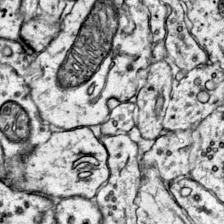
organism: Mouse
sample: Primary visual cortex